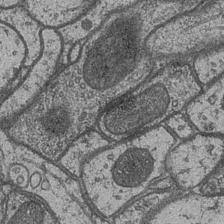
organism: Drosophila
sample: Optic medulla